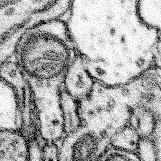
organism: Mouse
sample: Somatosensory cortex neuropil